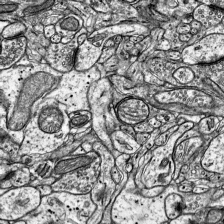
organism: Mouse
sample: Visual Cortex